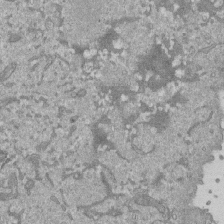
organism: Mouse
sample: ED-1 cell nuclei; centrioles